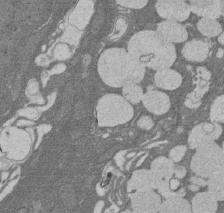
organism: Rat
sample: Salivary granule